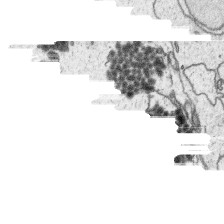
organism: Platynereis dumerilii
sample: Parapodia